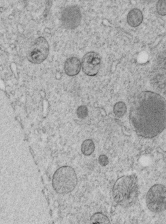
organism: C. elegans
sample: C. elegans embryo early stage